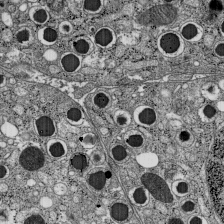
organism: C57BL Mouse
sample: Pancreatic islet